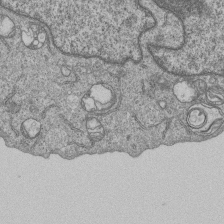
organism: Human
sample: MDA-MB-231 cells